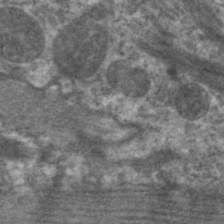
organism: C. elegans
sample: Pharynx